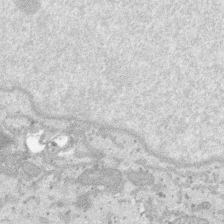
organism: Human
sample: Lung epithelial cells infected with SARS-CoV-2